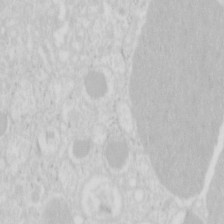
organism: Mouse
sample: Pancreas